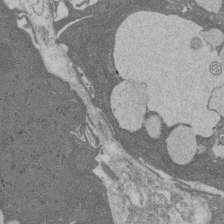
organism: Rat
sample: Salivary granule